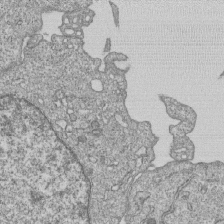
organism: Human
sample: MDA-MB-231 cells